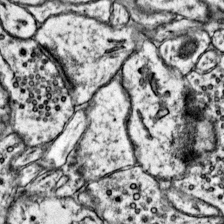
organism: Mouse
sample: Primary visual cortex